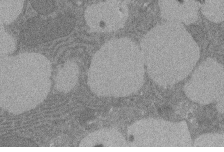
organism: Rat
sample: Salivary granule